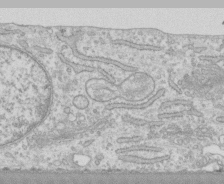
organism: Human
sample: CRL-1474